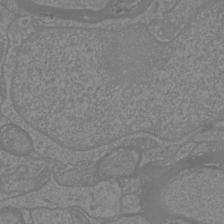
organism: Mouse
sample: Cortical neurons